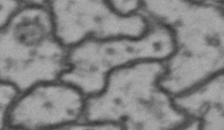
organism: Drosophila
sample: Brain